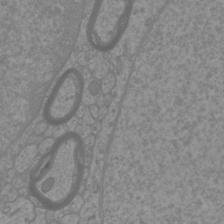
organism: Mouse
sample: Cortical neurons